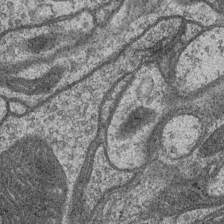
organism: Drosophila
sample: Optic medulla